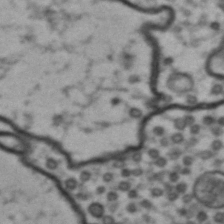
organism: Drosophila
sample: Brain